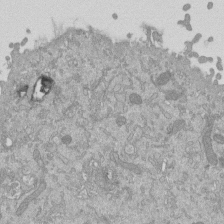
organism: Mouse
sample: ED-1 cell nuclei; centrioles